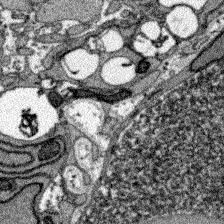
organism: Zebrafish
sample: Larval olfactory bulb